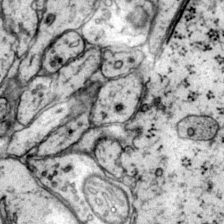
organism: Mouse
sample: Primary visual cortex